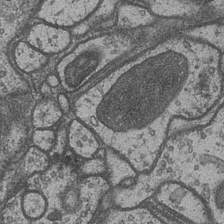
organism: Drosophila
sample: Optic medulla